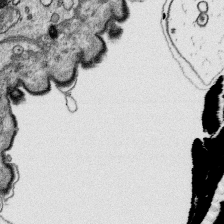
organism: Platynereis dumerilii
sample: Parapodia